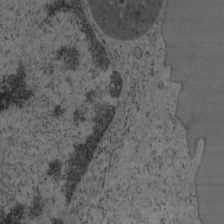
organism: Mouse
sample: OT-I killer T cells with ID8 ovarian cancer cells